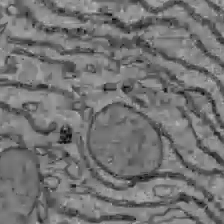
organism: C57BL Mouse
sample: Liver